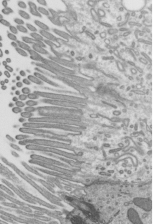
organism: Mouse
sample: Mouse epididymis efferent ductule cilia